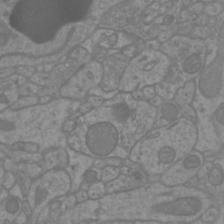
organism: Mouse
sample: Cortical neurons